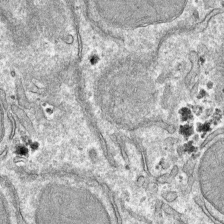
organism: Mouse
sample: Mouse hepatocytes